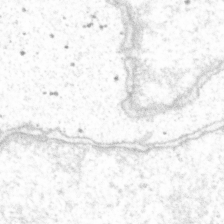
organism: Human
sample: HeLa cells